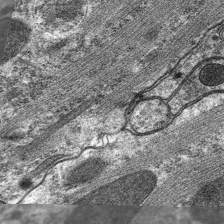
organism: C. elegans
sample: Pharynx